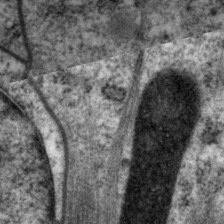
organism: P. pacificus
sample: Pharynx